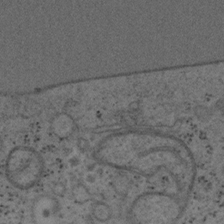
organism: Human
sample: HeLa cells